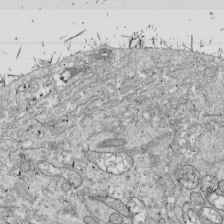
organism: Drosophila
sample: Cell division; meiosis; drosophila spermatocytes